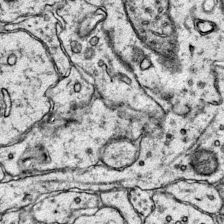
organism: Mouse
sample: Primary visual cortex